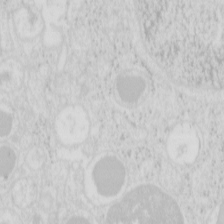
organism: Mouse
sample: Pancreas